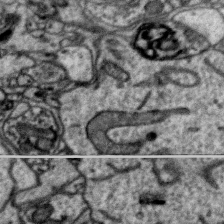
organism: Zebra finch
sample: Brain